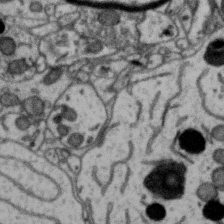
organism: Zebra finch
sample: Brain